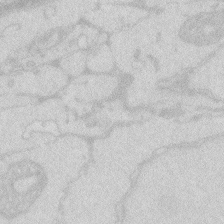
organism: Zebrafish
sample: Macrophage